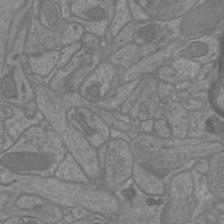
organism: Mouse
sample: Cortical neurons